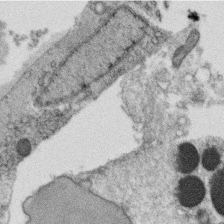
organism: C. elegans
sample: C. elegans oocyte; sperm cells